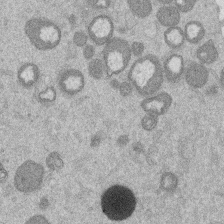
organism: Mouse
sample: Dividing mouse embryo 1 cell stage